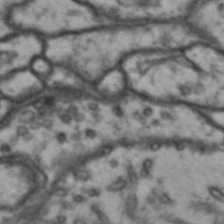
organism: Drosophila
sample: Brain